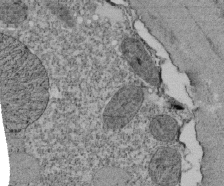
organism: Tetrahymena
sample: Cilia in tetrahymena